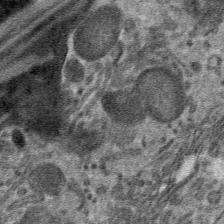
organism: Mouse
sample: Mouse hepatocytes